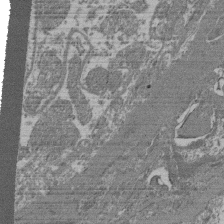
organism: Mouse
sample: Glomerulus